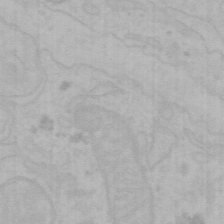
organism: Mouse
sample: Choroid plexus